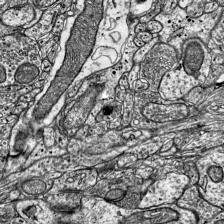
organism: Mouse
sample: Visual Cortex